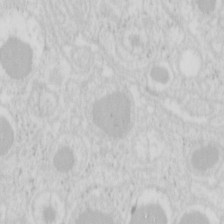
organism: Mouse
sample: Pancreas